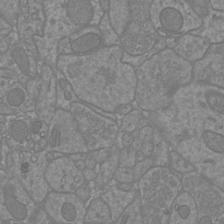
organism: Mouse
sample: Cortical neurons